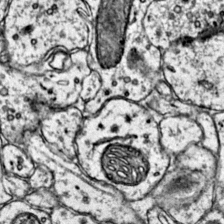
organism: Mouse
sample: Primary visual cortex